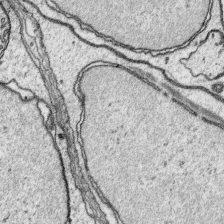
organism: Platynereis dumerilii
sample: Parapodia